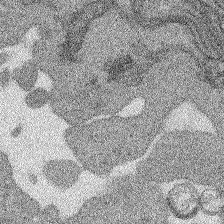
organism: Human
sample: HeLa cells